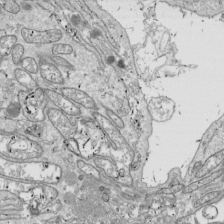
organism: Drosophila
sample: Cell division; meiosis; drosophila spermatocytes